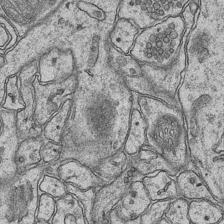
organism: Mouse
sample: CA1 Hippocampus